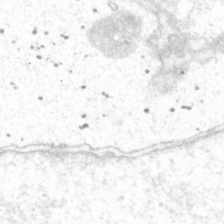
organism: Human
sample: HeLa cells